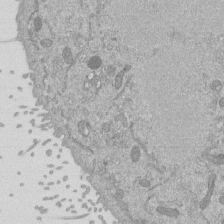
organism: Mouse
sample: ED-1 cell nuclei; centrioles